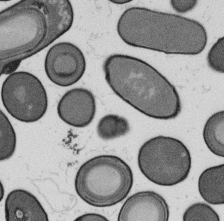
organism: B. subtilis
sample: Bacterial spore